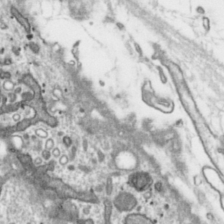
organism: Toxoplasma gondii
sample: Parasites in a vacuole inside a host cell